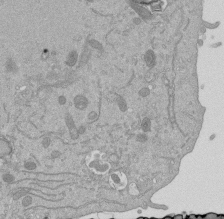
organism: Mouse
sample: ED-1 cell nuclei; centrioles